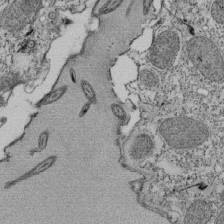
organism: Tetrahymena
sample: Cilia in tetrahymena